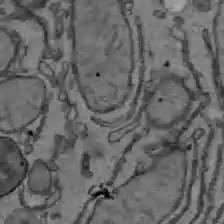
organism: C57BL Mouse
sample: Liver